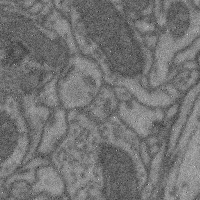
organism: Mouse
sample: Cerebral cortex